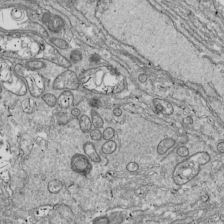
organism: Drosophila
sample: Cell division; meiosis; drosophila spermatocytes